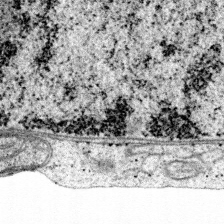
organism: Human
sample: HeLa cells